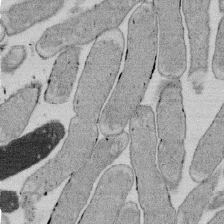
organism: E. coli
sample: Bacterial nucleoid